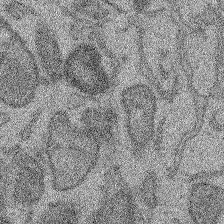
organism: Human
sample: HeLa cells